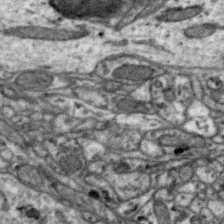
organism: Zebra finch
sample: Brain